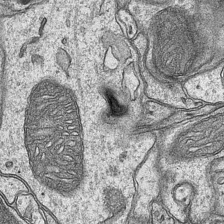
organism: Mouse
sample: CA1 Hippocampus